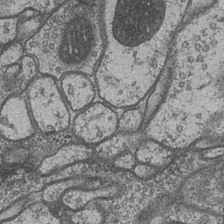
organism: Drosophila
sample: Optic medulla